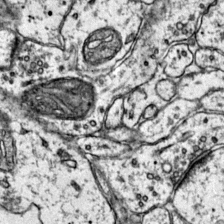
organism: Mouse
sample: Primary visual cortex